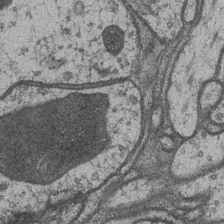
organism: Drosophila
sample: Optic medulla